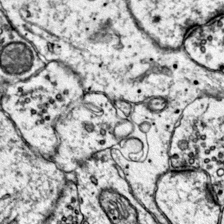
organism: Mouse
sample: Primary visual cortex